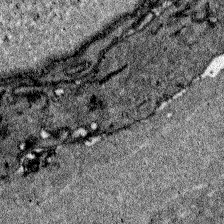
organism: Zebrafish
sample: Larval olfactory bulb